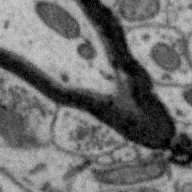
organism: Zebra finch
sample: Brain